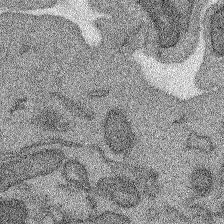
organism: Human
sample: HeLa cells